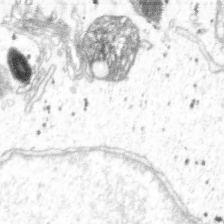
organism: Human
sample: HeLa cells